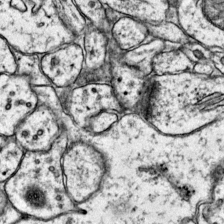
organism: Mouse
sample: Primary visual cortex